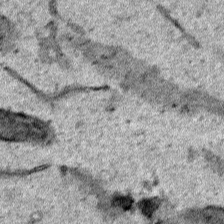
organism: Human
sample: Mitochondria in HCT116 cells